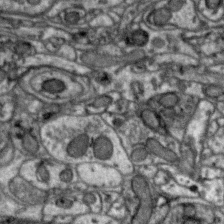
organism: Zebra finch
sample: Brain